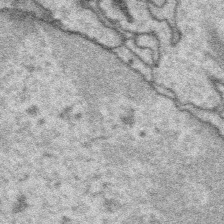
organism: Platynereis dumerilii